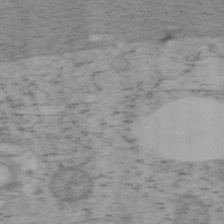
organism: Mouse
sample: OT-I killer T cells with ID8 ovarian cancer cells